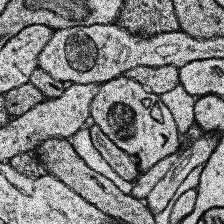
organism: Human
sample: Temporal Lobe